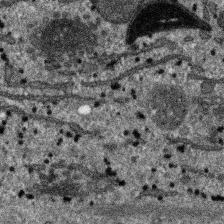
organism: Human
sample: Lung epithelial cells infected with SARS-CoV-2